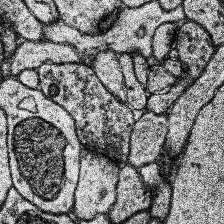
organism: Human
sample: Temporal Lobe